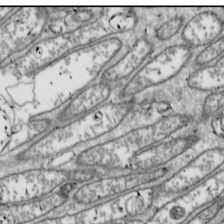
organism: Drosophila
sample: Cell division; meiosis; drosophila spermatocytes